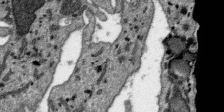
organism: Human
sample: Lung epithelial cells, uninfected (mock) control